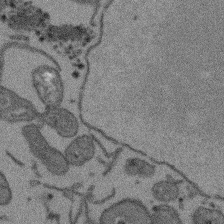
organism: Arabidopsis thaliana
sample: Root tip